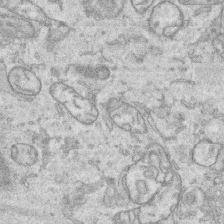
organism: Human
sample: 1205lu cells